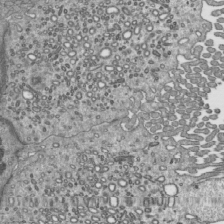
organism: Mouse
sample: Mouse epididymis efferent ductule cilia